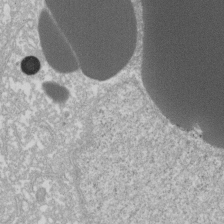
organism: Xenopus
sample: Cilia; centrioles in frog embryo cells